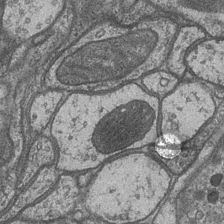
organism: Drosophila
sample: Optic medulla